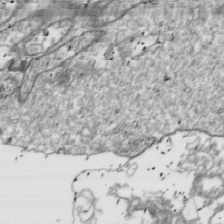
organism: Drosophila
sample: Cell division; meiosis; drosophila spermatocytes